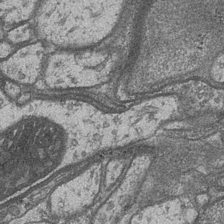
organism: Drosophila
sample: Optic medulla